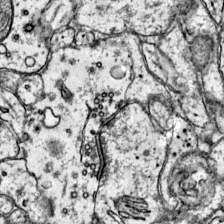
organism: Mouse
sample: Primary visual cortex